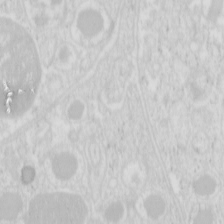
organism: Mouse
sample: Pancreas